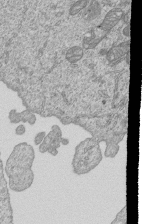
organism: Human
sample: MDA-MB-231 cells